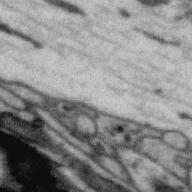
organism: Zebra finch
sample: Brain